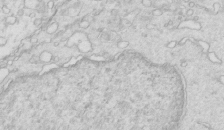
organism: Mouse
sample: Multiciliated cells